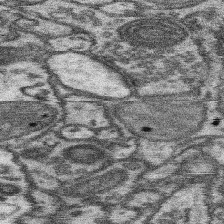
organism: Mouse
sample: Somatosensory cortex neuropil